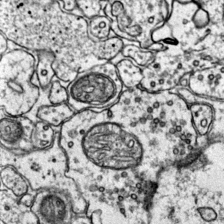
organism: Mouse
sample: Primary visual cortex